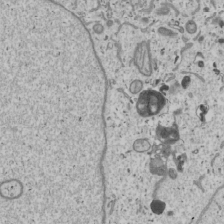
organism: Human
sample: Mitochondria in U2OS cells